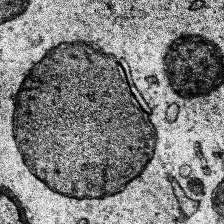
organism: Human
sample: Temporal Lobe